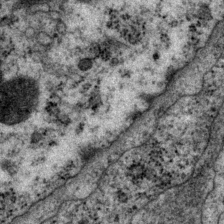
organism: P. pacificus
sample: Pharynx